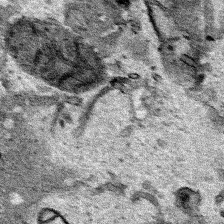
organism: Human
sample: Mitochondria in HCT116 cells